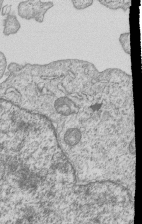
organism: Human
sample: MDA-MB-231 cells